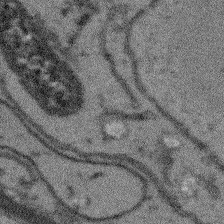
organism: Arabidopsis thaliana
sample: Root tip